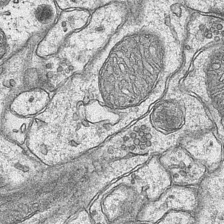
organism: Mouse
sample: CA1 Hippocampus